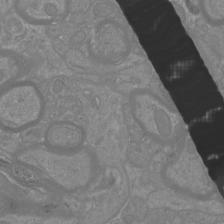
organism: Mouse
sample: Cortical neurons